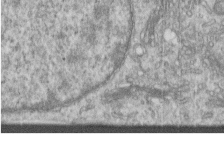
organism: Human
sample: Centriole in RPE cells